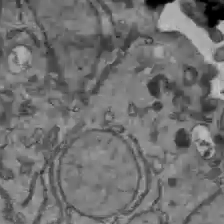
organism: C57BL Mouse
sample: Liver